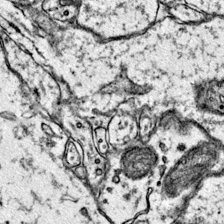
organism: Mouse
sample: Primary visual cortex